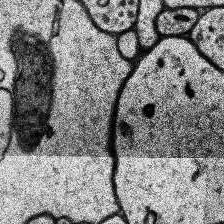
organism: Human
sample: Temporal Lobe